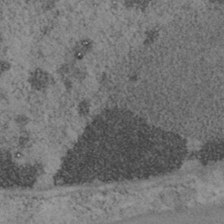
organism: Mouse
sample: OT-I killer T cells with ID8 ovarian cancer cells